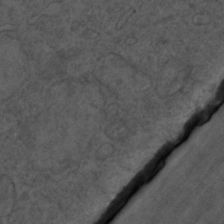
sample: Trachea